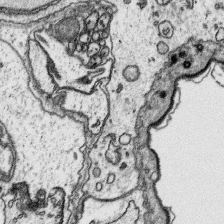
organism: Platynereis dumerilii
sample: Parapodia